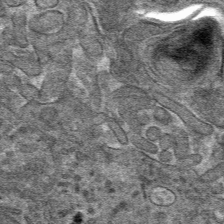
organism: Mouse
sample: Mouse hepatocytes